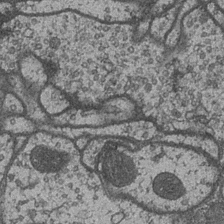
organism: Drosophila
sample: Optic medulla